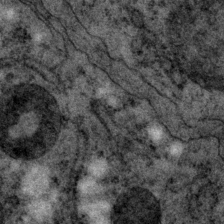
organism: P. pacificus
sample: Pharynx